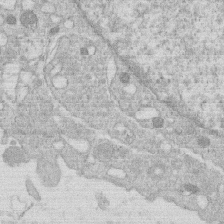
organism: Human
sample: Macrophage cells